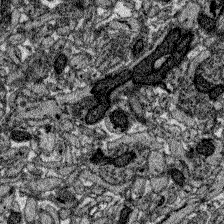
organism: Zebrafish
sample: Larval olfactory bulb